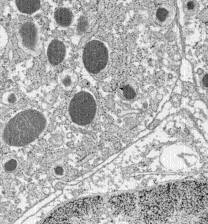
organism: C57BL Mouse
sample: Pancreatic islet